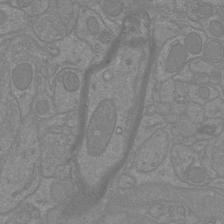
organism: Mouse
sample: Cortical neurons